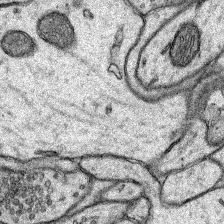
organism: Rat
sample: Hippocampus